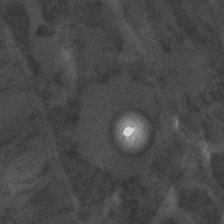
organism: C. elegans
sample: C. elegans embryo